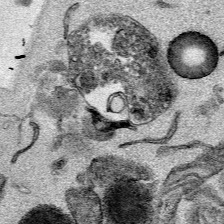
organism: Mouse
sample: Cancer cell death in ED-1 cells